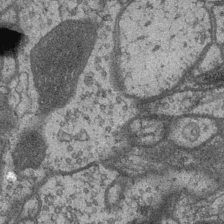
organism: Drosophila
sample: Optic medulla